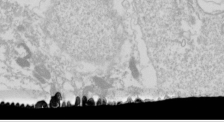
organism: Drosophila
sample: Cell division; meiosis; drosophila spermatocytes